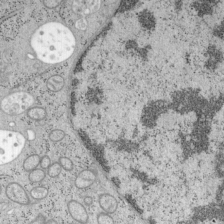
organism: Mouse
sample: OT-I killer T cells with ID8 ovarian cancer cells